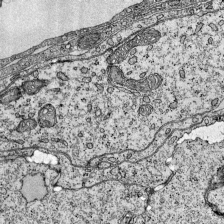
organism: Mouse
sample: Visual Cortex